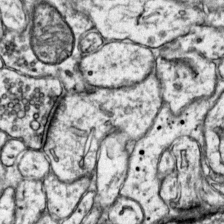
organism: Mouse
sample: Primary visual cortex